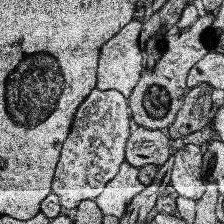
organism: Human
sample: Temporal Lobe